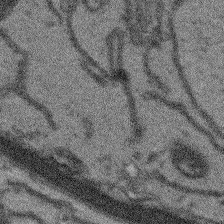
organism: Arabidopsis thaliana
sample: Root tip